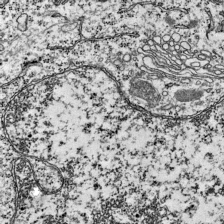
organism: Mouse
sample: Visual Cortex